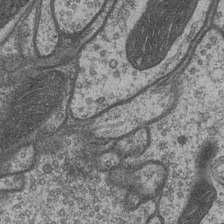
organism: Drosophila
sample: Optic medulla